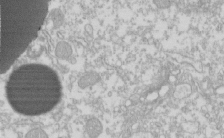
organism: Xenopus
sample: Cilia; centrioles in frog embryo cells